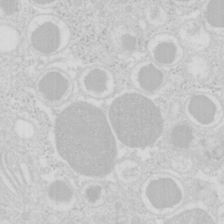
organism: Mouse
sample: Pancreas